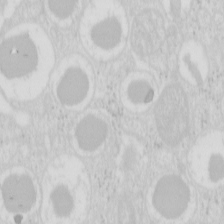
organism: Mouse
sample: Pancreas